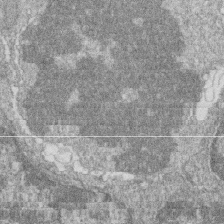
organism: Zebrafish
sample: Cilia; retinal pigment epithelium